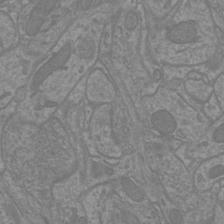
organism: Mouse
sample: Cortical neurons